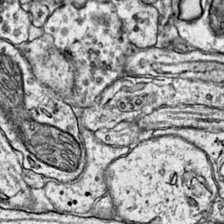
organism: Mouse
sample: Primary visual cortex